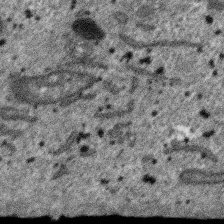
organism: Human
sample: Lung epithelial cells infected with SARS-CoV-2